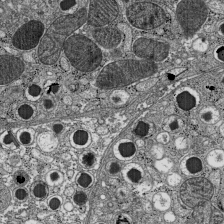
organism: C57BL Mouse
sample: Pancreatic islet